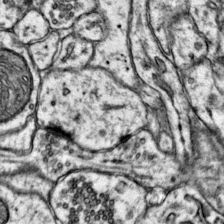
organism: Mouse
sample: Primary visual cortex